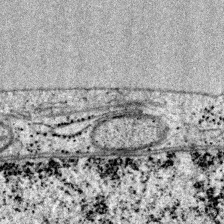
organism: Human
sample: HeLa cells